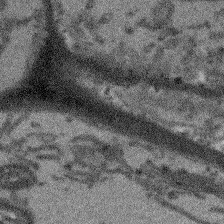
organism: Arabidopsis thaliana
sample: Root tip